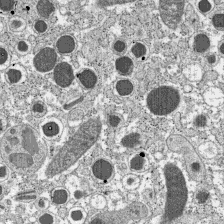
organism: C57BL Mouse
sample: Pancreatic islet